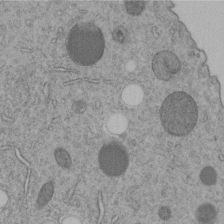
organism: C. elegans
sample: C. elegans embryo early stage